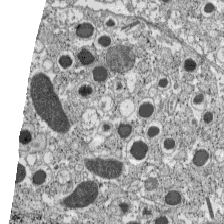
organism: C57BL Mouse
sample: Pancreatic islet